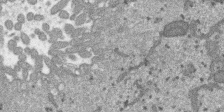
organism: Human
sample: Lung epithelial cells infected with SARS-CoV-2